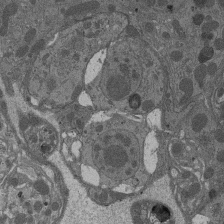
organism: Drosophila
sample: Antenna